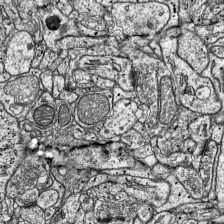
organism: Mouse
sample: Visual Cortex